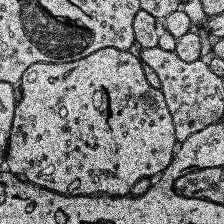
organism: Human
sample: Temporal Lobe